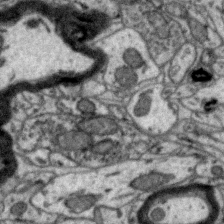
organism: Zebra finch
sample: Brain